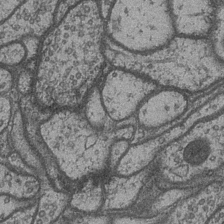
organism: Drosophila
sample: Optic medulla